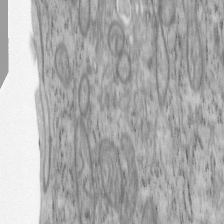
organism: Human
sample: HeLa cells